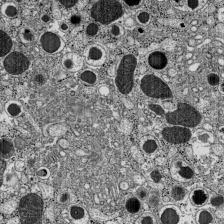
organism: C57BL Mouse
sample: Pancreatic islet